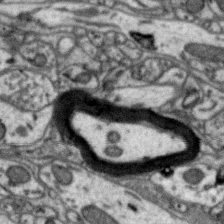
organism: Zebra finch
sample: Brain